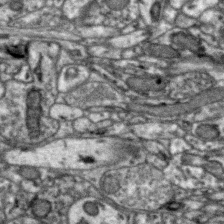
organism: Zebra finch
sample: Brain